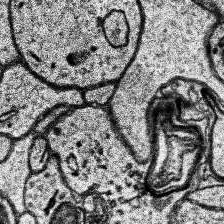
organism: Human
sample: Temporal Lobe